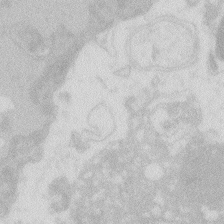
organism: Zebrafish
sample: Macrophage